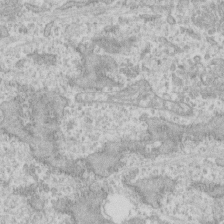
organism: Human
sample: CRL-1474